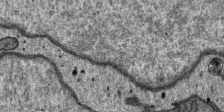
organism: Human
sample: Lung epithelial cells, uninfected (mock) control